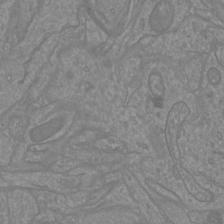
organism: Mouse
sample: Cortical neurons